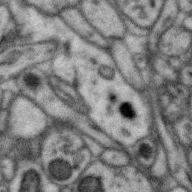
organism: Zebra finch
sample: Brain